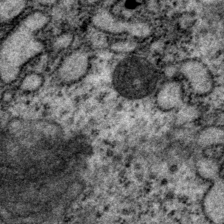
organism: P. pacificus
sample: Pharynx